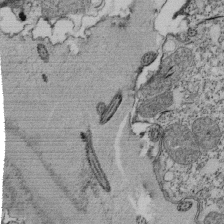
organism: Tetrahymena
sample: Cilia in tetrahymena